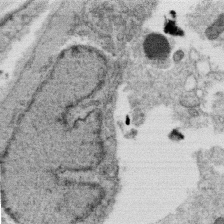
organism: C. elegans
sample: C. elegans oocyte; sperm cells